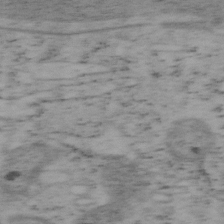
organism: Mouse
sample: OT-I killer T cells with ID8 ovarian cancer cells